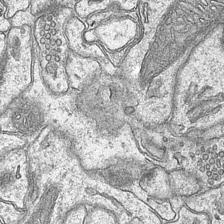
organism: Mouse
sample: CA1 Hippocampus